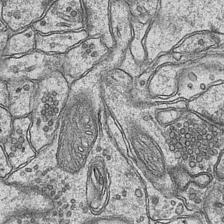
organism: Mouse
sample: CA1 Hippocampus